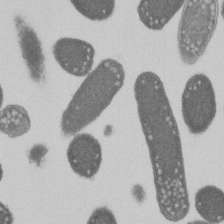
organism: E. coli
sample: Bacterial nucleoid